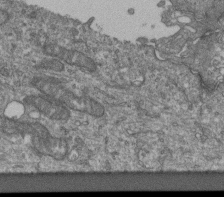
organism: Human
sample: Retinal organoid Rod and Cone cells